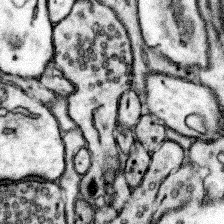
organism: Mouse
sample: Somatosensory cortex neuropil